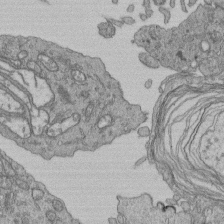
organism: Human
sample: Retinal organoid Rod and Cone cells